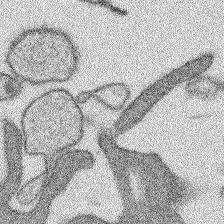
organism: Human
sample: HeLa cells